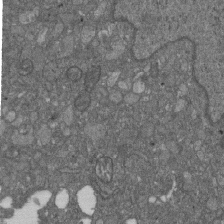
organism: Drosophila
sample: Nephrocyte